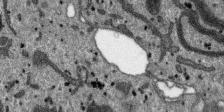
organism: Human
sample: Lung epithelial cells, uninfected (mock) control